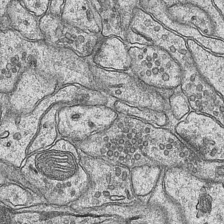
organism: Mouse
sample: CA1 Hippocampus